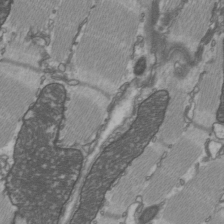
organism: C57BL Mouse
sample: Heart